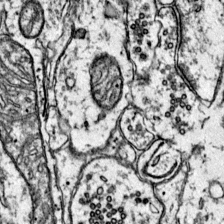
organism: Mouse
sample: Primary visual cortex